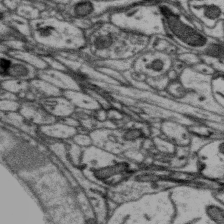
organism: Zebra finch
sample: Brain